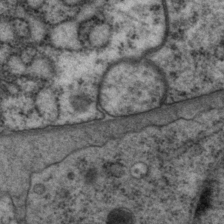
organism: P. pacificus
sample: Pharynx